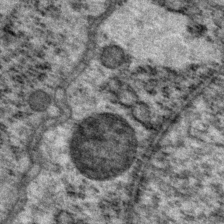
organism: P. pacificus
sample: Pharynx